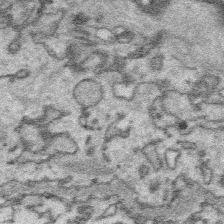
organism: Platynereis dumerilii